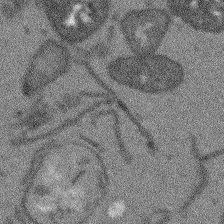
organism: Arabidopsis thaliana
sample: Root tip